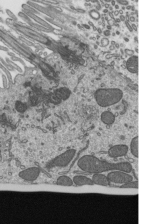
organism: Mouse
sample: Mouse epididymis efferent ductule cilia